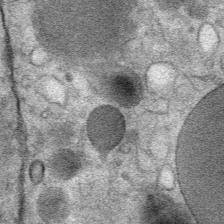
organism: Mouse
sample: Mouse Salivary gland